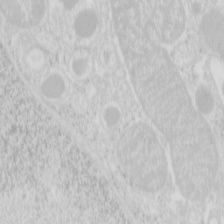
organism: Mouse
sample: Pancreas